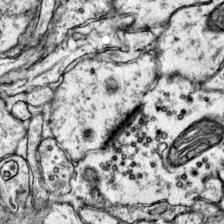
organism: Mouse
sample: Primary visual cortex